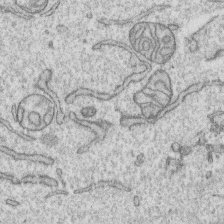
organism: Human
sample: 1205lu cells